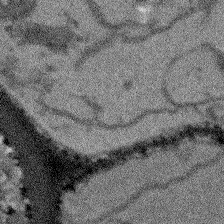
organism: Arabidopsis thaliana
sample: Root tip